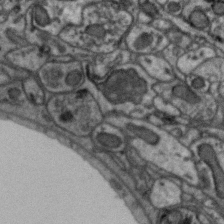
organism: Zebra finch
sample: Brain